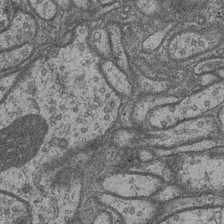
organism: Drosophila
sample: Optic medulla